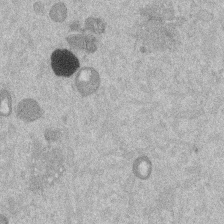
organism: Mouse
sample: Dividing mouse embryo 1 cell stage